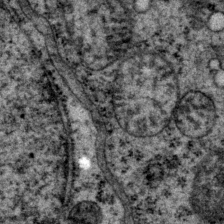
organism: P. pacificus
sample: Pharynx